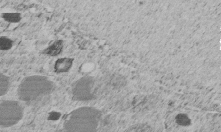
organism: C. elegans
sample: C. elegans embryo early stage